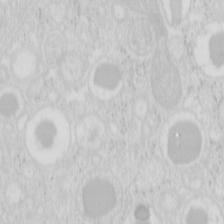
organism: Mouse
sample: Pancreas